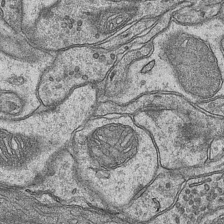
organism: Mouse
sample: CA1 Hippocampus